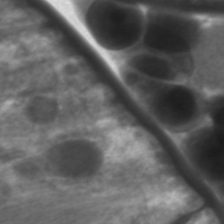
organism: C. elegans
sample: Pharynx